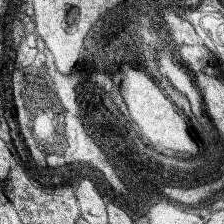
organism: Human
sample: Temporal Lobe